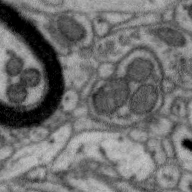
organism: Zebra finch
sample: Brain